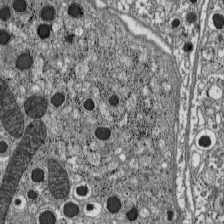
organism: C57BL Mouse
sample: Pancreatic islet